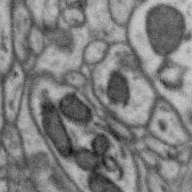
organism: Zebra finch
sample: Brain